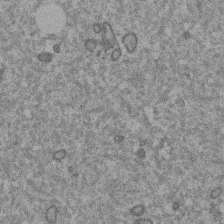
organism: Mouse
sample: Dividing mouse embryo 1 cell stage